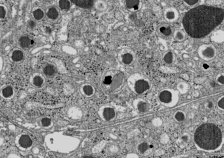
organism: C57BL Mouse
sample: Pancreatic islet